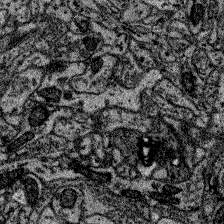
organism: Zebrafish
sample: Larval olfactory bulb